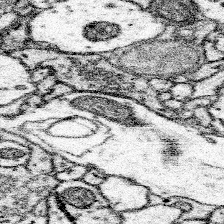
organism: Mouse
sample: Somatosensory cortex neuropil